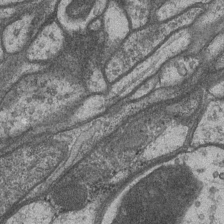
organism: Drosophila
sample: Optic medulla